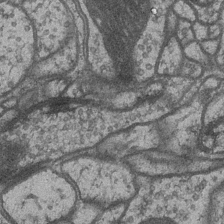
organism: Drosophila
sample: Optic medulla